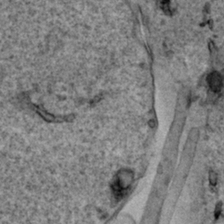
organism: Human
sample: Mitochondria in HCT116 cells